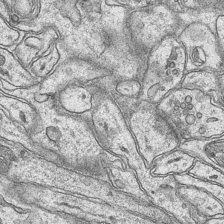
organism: Mouse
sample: CA1 Hippocampus